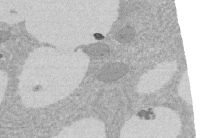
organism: Rat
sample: Salivary granule